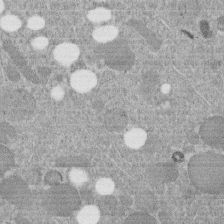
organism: C. elegans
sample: C. elegans embryo early stage